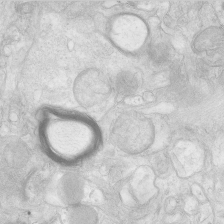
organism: Human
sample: Neocortex